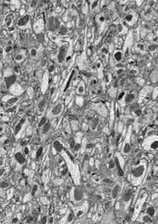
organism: Drosophila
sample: Optic lobe